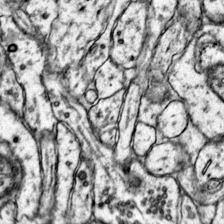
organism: Mouse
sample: Primary visual cortex